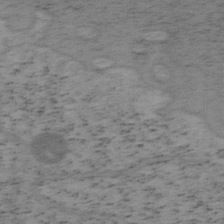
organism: Mouse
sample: OT-I killer T cells with ID8 ovarian cancer cells